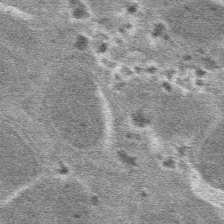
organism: Mouse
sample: Mouse hepatocytes